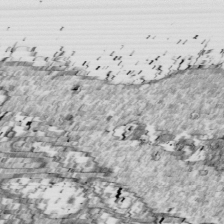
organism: Drosophila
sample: Cell division; meiosis; drosophila spermatocytes